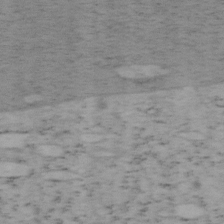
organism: Mouse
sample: OT-I killer T cells with ID8 ovarian cancer cells